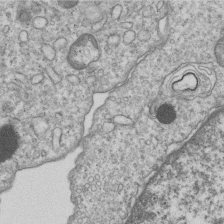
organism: Human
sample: MDA-MB-231 cells